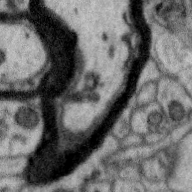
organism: Zebra finch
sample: Brain